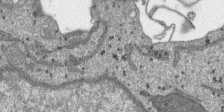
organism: Human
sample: Lung epithelial cells infected with SARS-CoV-2